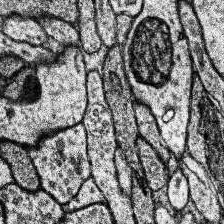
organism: Human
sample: Temporal Lobe